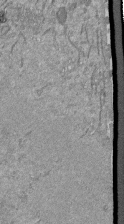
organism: Mouse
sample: ED-1 cell nuclei; centrioles